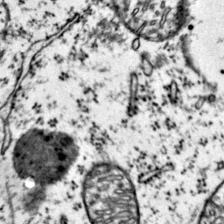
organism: Mouse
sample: Primary visual cortex